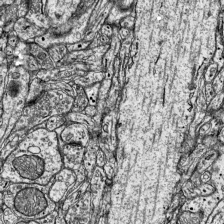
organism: Mouse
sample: Visual Cortex